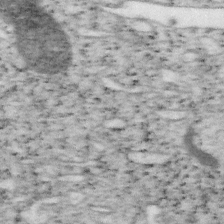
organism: Mouse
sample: OT-I killer T cells with ID8 ovarian cancer cells